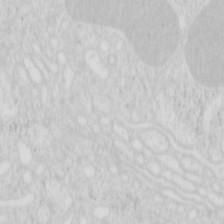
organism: Mouse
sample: Pancreas